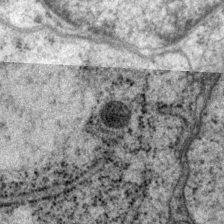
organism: P. pacificus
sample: Pharynx